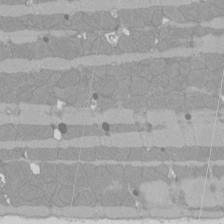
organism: Rat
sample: Left ventricle